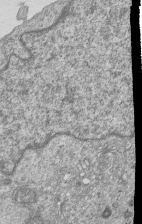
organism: Human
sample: MDA-MB-231 cells